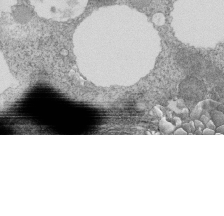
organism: Tetrahymena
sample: Cilia in tetrahymena